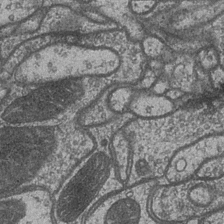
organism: Drosophila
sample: Optic medulla